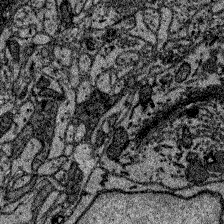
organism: Zebrafish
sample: Larval olfactory bulb